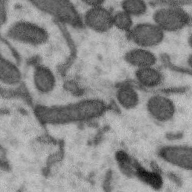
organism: Zebra finch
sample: Brain